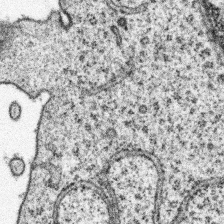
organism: Human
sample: HeLa cells